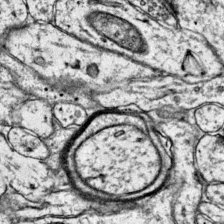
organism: Mouse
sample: Primary visual cortex